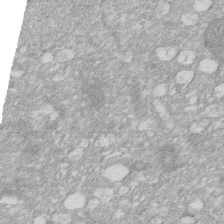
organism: Human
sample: HIV infected U937 cells